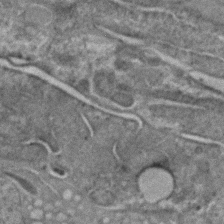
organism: C. elegans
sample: C. elegans embryo